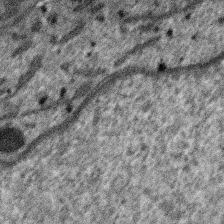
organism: Human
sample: Lung epithelial cells infected with SARS-CoV-2